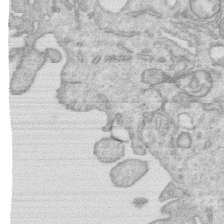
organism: Human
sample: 1205lu cells